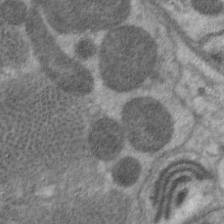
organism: C. elegans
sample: Pharynx